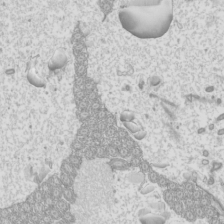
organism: Mouse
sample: Cilia; mouse epididymis